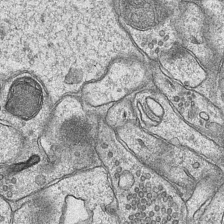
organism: Mouse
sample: CA1 Hippocampus